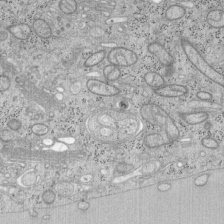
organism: Mouse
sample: OT-I killer T cells with ID8 ovarian cancer cells